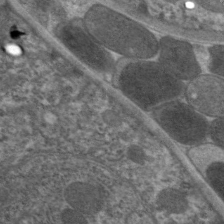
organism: C. elegans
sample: Pharynx